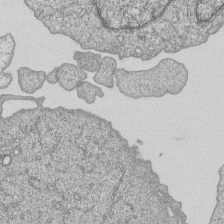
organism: Human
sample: MDA-MB-231 cells